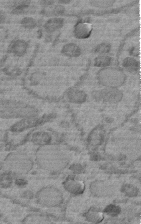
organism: C. elegans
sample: C. elegans embryo early stage